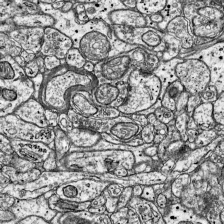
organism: Mouse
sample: Visual Cortex